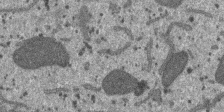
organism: Human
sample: Lung epithelial cells infected with SARS-CoV-2